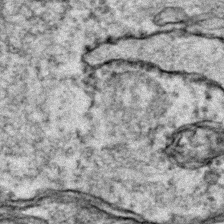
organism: Zebrafish